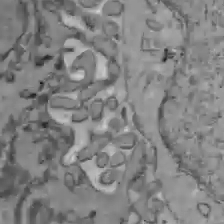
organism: C57BL Mouse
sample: Liver